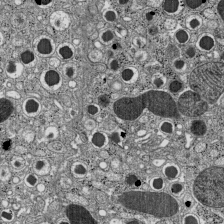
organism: C57BL Mouse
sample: Pancreatic islet